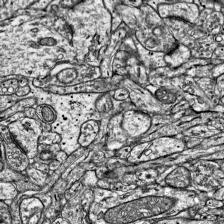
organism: Mouse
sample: Visual Cortex